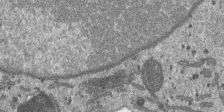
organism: Human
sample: Lung epithelial cells infected with SARS-CoV-2